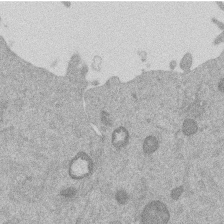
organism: Mouse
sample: Dividing mouse embryo 1 cell stage